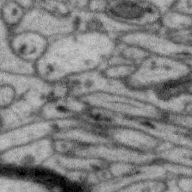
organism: Zebra finch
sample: Brain